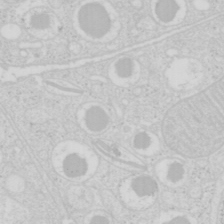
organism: Mouse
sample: Pancreas